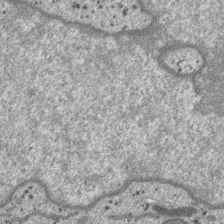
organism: Human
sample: Lung epithelial cells infected with SARS-CoV-2